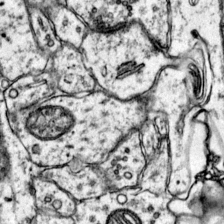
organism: Mouse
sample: Primary visual cortex